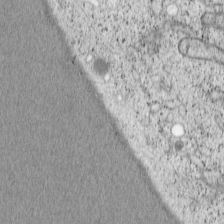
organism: African green monkey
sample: COS-7 cells